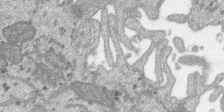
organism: Human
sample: Lung epithelial cells infected with SARS-CoV-2